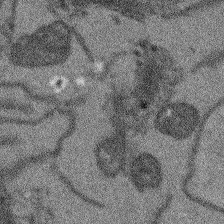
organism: Arabidopsis thaliana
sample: Root tip